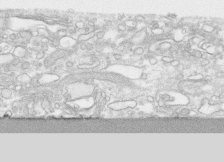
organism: Human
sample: CRL-1474